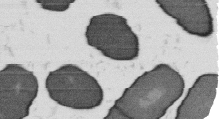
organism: B. subtilis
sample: Bacterial spore